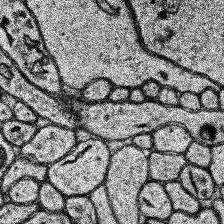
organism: Human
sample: Temporal Lobe